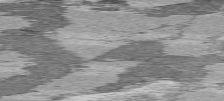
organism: C57BL Mouse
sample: Heart